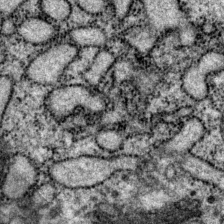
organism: P. pacificus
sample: Pharynx